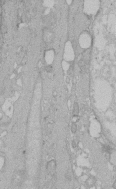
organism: Human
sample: Melanocyte Keratinocyte synapse skin construct